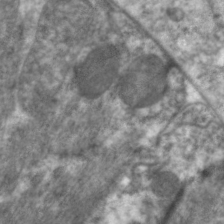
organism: C. elegans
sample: Pharynx